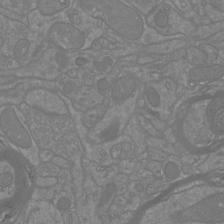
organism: Mouse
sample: Cortical neurons